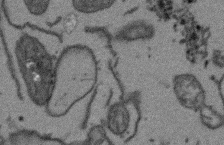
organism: Arabidopsis thaliana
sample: Root tip